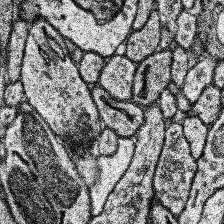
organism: Human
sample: Temporal Lobe